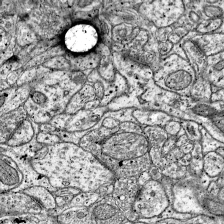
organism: Mouse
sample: Visual Cortex